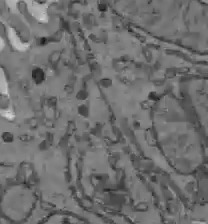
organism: C57BL Mouse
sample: Liver